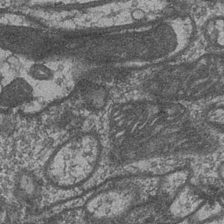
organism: Drosophila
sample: Optic medulla